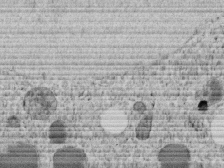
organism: C. elegans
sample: C. elegans embryo early stage